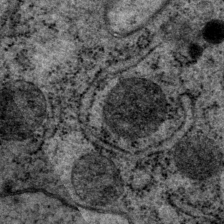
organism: P. pacificus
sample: Pharynx